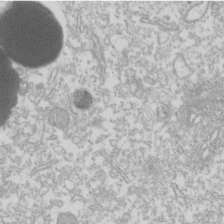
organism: Xenopus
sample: Cilia; centrioles in frog embryo cells